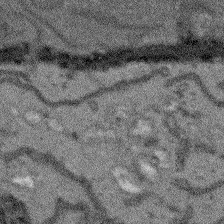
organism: Arabidopsis thaliana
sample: Root tip